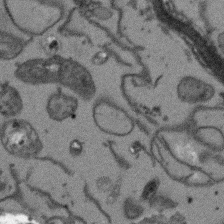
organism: Arabidopsis thaliana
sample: Root tip